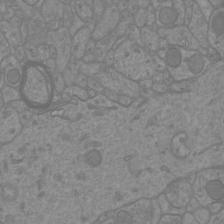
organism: Mouse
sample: Cortical neurons